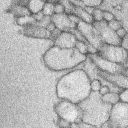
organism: Rabbit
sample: Retina